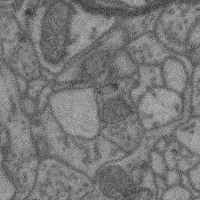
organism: Mouse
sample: Cerebral cortex